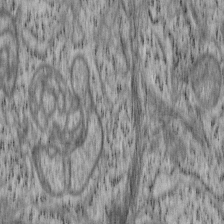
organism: Human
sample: HeLa cells